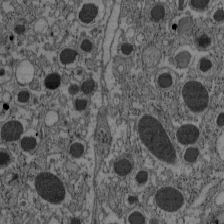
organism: C57BL Mouse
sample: Pancreatic islet